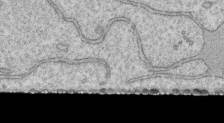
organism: Human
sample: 1205lu cells